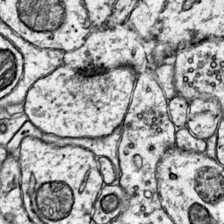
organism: Mouse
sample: Primary visual cortex